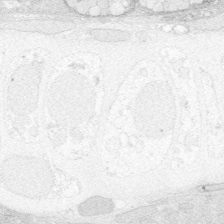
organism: Zebrafish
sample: Whole-Brain